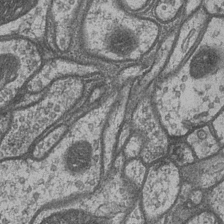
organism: Drosophila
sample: Optic medulla